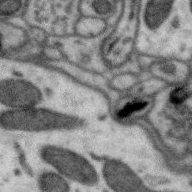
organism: Zebra finch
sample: Brain